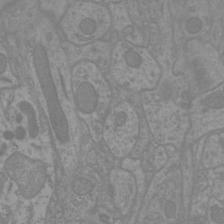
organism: Mouse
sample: Cortical neurons